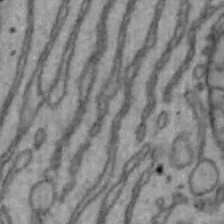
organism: Mouse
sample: Liver